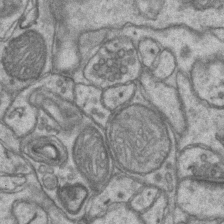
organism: Mouse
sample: CA1 Hippocampus